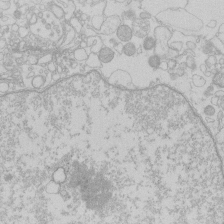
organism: Human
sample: Macrophage cells